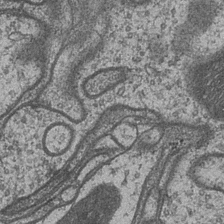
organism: Drosophila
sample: Optic medulla